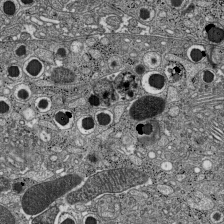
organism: C57BL Mouse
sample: Pancreatic islet